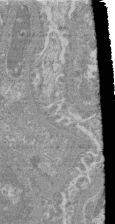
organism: Mouse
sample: Glomerulus